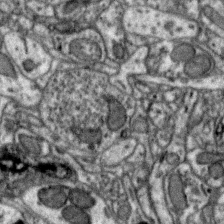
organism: Zebra finch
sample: Brain